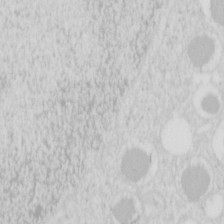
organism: Mouse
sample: Pancreas